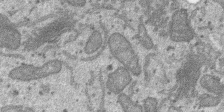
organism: Human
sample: Lung epithelial cells infected with SARS-CoV-2